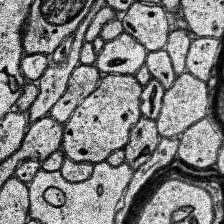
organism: Human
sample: Temporal Lobe